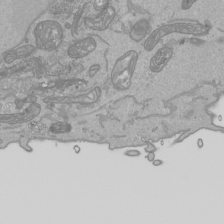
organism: Human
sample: Mitochondria in HCT116 cells